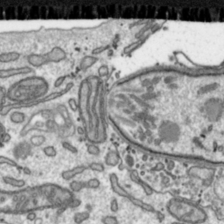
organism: Toxoplasma gondii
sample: Parasites in a vacuole inside a host cell